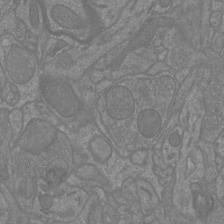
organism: Mouse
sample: Cortical neurons